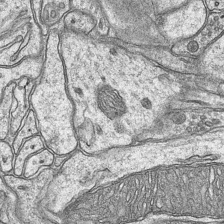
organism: Mouse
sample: CA1 Hippocampus